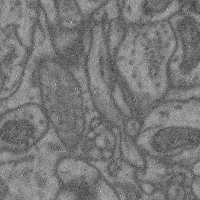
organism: Mouse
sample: Cerebral cortex